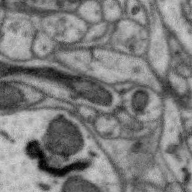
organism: Zebra finch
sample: Brain